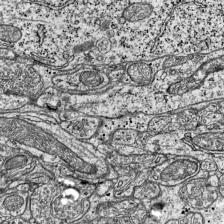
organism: Mouse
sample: Visual Cortex